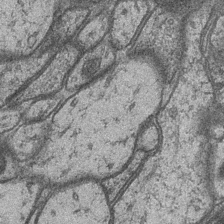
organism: Drosophila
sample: Optic medulla